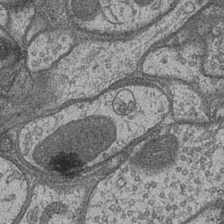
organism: Drosophila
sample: Optic medulla